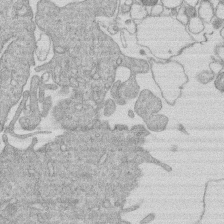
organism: Human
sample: Macrophage cells